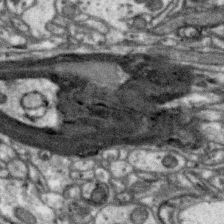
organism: Zebra finch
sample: Brain